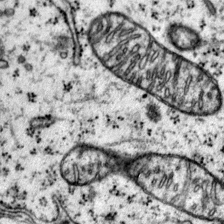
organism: Mouse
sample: Primary visual cortex